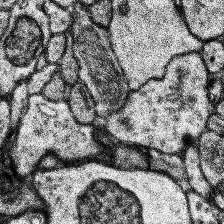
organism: Human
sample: Temporal Lobe